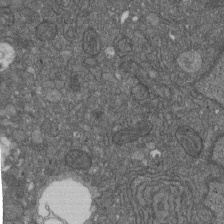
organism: Drosophila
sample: Nephrocyte